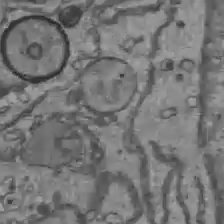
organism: C57BL Mouse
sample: Liver